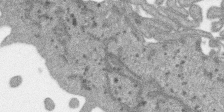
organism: Human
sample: Lung epithelial cells infected with SARS-CoV-2